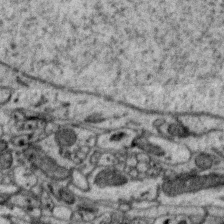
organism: Zebra finch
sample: Brain